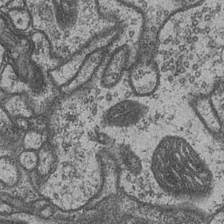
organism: Drosophila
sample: Optic medulla